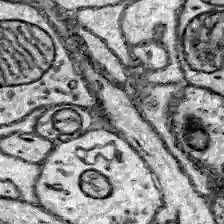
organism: Zebrafish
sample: Brain